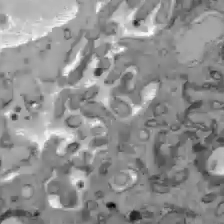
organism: C57BL Mouse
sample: Liver